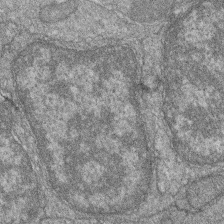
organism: Zebrafish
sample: Cilia; retinal pigment epithelium